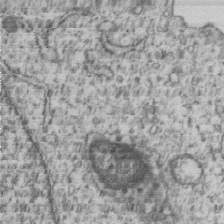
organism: Human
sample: MDA-MB-231 cells